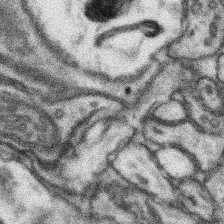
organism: Mouse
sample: Somatosensory cortex neuropil